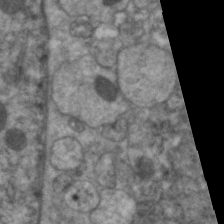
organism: C. elegans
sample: Pharynx